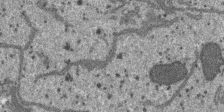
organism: Human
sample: Lung epithelial cells infected with SARS-CoV-2